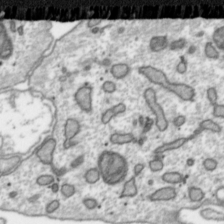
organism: Toxoplasma gondii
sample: Parasites in a vacuole inside a host cell